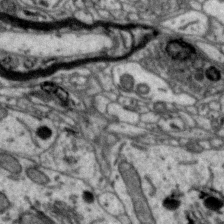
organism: Zebra finch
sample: Brain